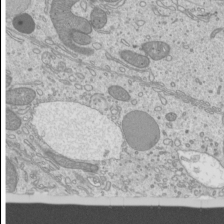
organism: Mouse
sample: Cilia; mouse epididymis